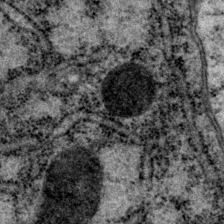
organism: P. pacificus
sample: Pharynx